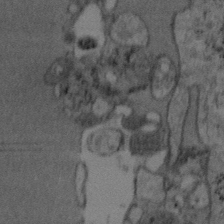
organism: Human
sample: HeLa cells